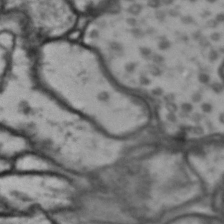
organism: Drosophila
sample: Brain